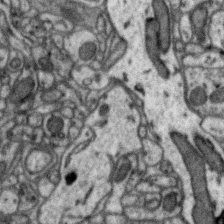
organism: Zebra finch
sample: Brain